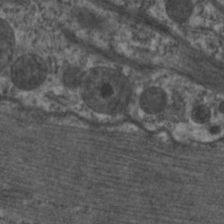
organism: C. elegans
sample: Pharynx